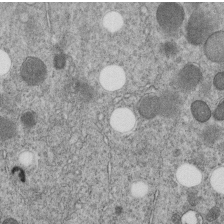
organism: C. elegans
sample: C. elegans embryo early stage